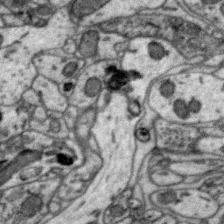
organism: Zebra finch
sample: Brain